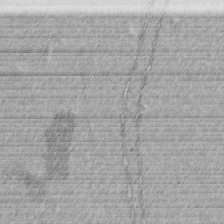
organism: C. elegans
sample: C. elegans embryo early stage